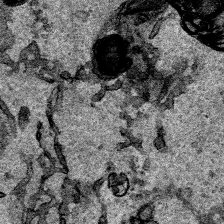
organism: Human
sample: Mitochondria in HCT116 cells